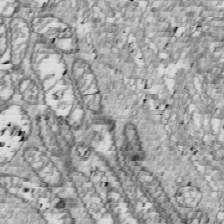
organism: Drosophila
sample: Cell division; meiosis; drosophila spermatocytes